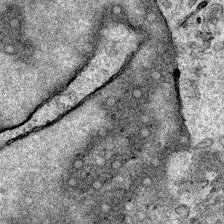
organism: Human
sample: Mitochondria in HCT116 cells